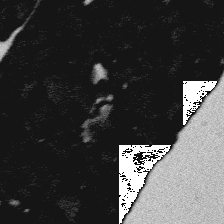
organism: Platynereis dumerilii